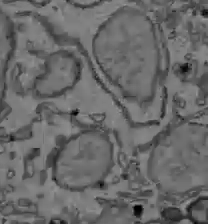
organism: C57BL Mouse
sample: Liver